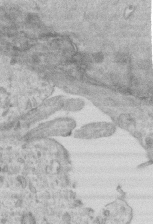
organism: Mouse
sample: Centriole in ependymal cells